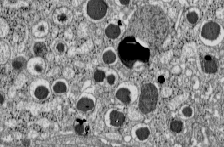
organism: C57BL Mouse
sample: Pancreatic islet